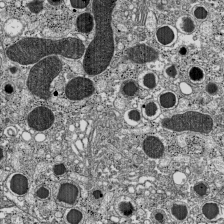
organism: C57BL Mouse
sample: Pancreatic islet